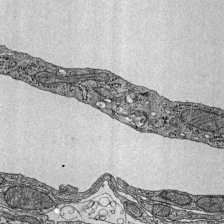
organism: Mouse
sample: Visual Cortex